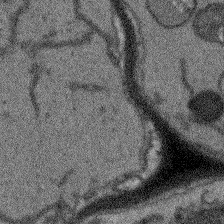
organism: Arabidopsis thaliana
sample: Root tip